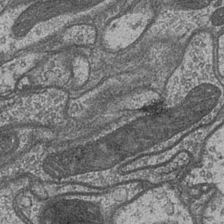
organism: Drosophila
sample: Optic medulla